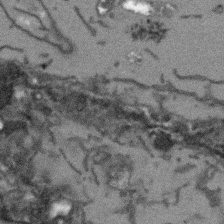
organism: Arabidopsis thaliana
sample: Root tip